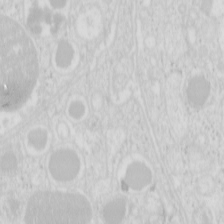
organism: Mouse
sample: Pancreas